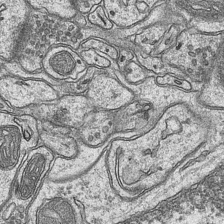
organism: Mouse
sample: CA1 Hippocampus